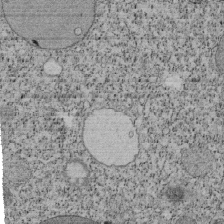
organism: Tetrahymena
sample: Cilia in tetrahymena